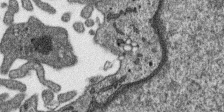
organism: Human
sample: Lung epithelial cells infected with SARS-CoV-2